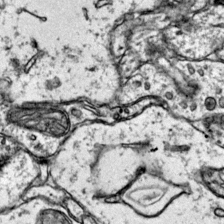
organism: Mouse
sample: Primary visual cortex